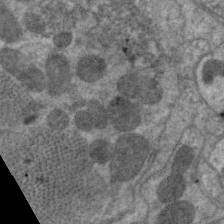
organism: C. elegans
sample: Pharynx